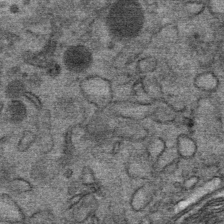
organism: Mouse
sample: Mouse Salivary gland